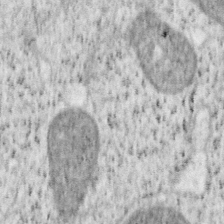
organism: Mouse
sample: OT-I killer T cells with ID8 ovarian cancer cells